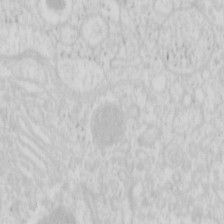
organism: Mouse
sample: Pancreas